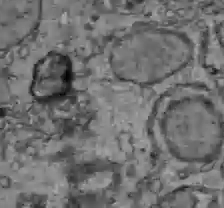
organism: C57BL Mouse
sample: Liver